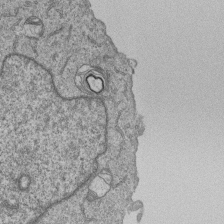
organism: Human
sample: MDA-MB-231 cells